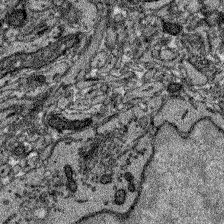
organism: Zebrafish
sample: Larval olfactory bulb